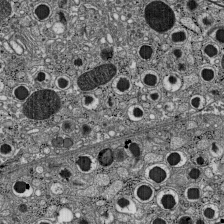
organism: C57BL Mouse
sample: Pancreatic islet